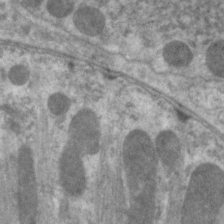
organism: C. elegans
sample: Pharynx